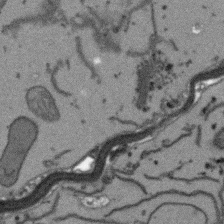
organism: Arabidopsis thaliana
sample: Root tip